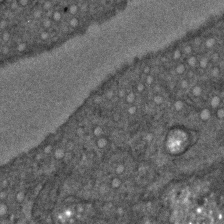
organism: C. elegans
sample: C. elegans embryo